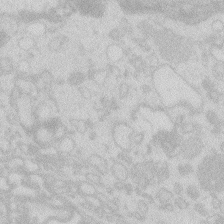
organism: Zebrafish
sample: Macrophage